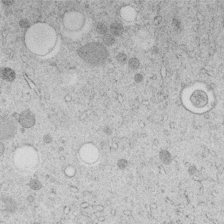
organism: C. elegans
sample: C. elegans embryo early stage